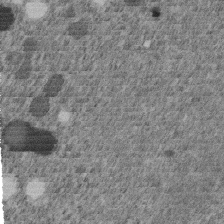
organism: C. elegans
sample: C. elegans embryo early stage